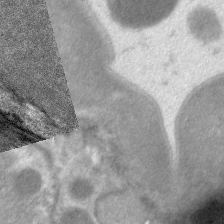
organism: C. elegans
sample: Pharynx